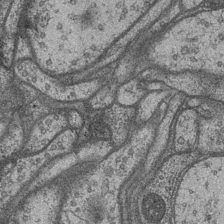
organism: Drosophila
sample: Optic medulla